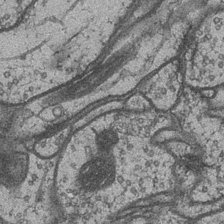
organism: Drosophila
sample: Optic medulla